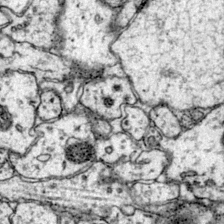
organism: Mouse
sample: Primary visual cortex